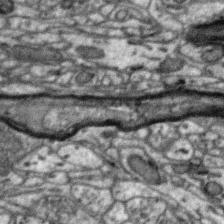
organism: Zebra finch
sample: Brain